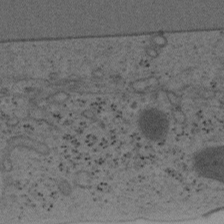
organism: Human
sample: HeLa cells